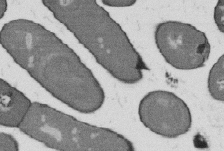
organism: B. subtilis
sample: Bacterial spore